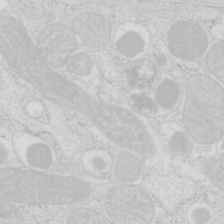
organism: Mouse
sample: Pancreas